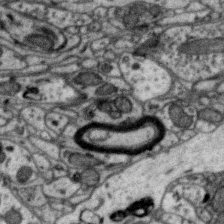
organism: Zebra finch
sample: Brain